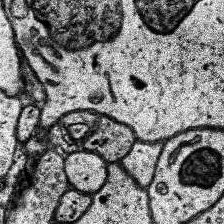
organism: Human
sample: Temporal Lobe